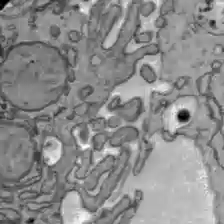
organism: C57BL Mouse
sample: Liver